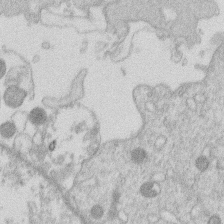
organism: Human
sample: Macrophage cells